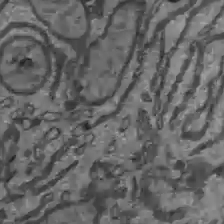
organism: C57BL Mouse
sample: Liver